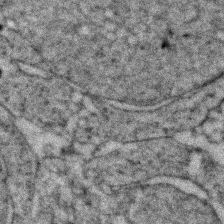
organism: Zebrafish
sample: Zebrafish embryo